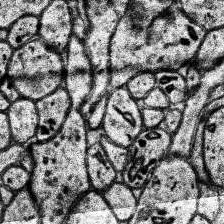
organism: Human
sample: Temporal Lobe